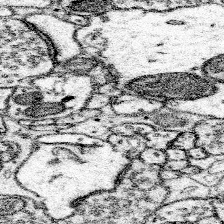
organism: Mouse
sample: Somatosensory cortex neuropil